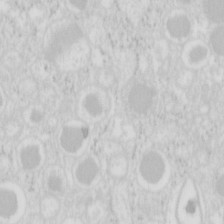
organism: Mouse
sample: Pancreas